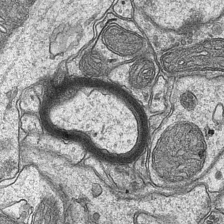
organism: Mouse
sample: CA1 Hippocampus